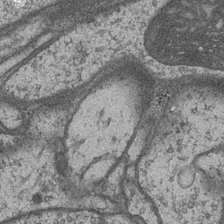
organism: Drosophila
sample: Optic medulla